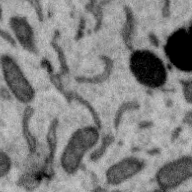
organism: Zebra finch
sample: Brain